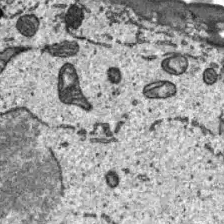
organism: Human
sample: HeLa cells